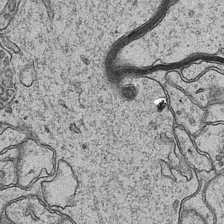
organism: Mouse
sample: CA1 Hippocampus